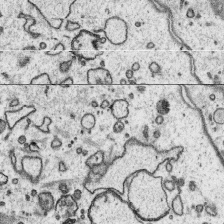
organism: Platynereis dumerilii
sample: Parapodia